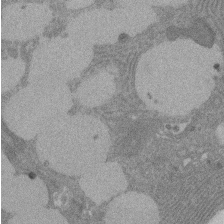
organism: Rat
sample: Salivary granule